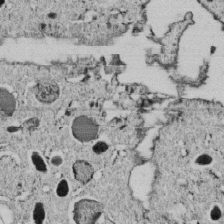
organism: C. elegans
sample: C. elegans embryo early stage